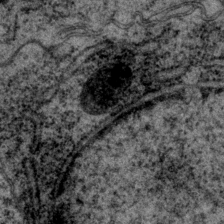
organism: P. pacificus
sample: Pharynx